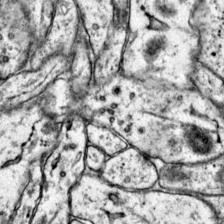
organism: Mouse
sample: Primary visual cortex